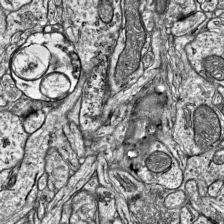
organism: Mouse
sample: Visual Cortex